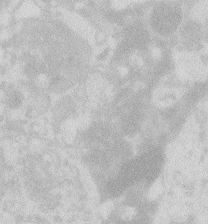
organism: Zebrafish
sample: Macrophage